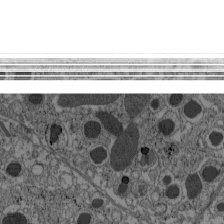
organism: C57BL Mouse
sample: Pancreatic islet